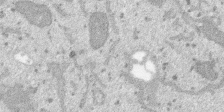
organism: Human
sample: Lung epithelial cells infected with SARS-CoV-2